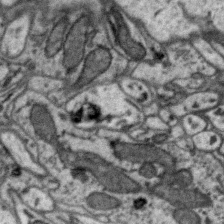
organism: Zebra finch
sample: Brain